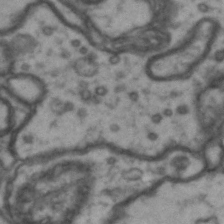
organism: Drosophila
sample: Brain